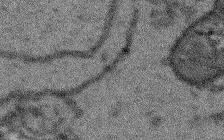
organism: Arabidopsis thaliana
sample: Root tip